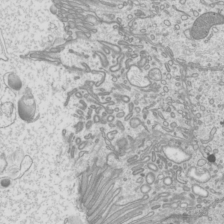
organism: Mouse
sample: Cilia; mouse epididymis